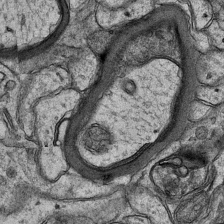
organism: Mouse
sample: CA1 Hippocampus